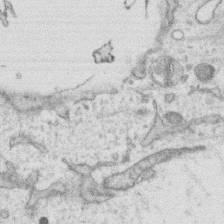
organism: Human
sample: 1205lu cells